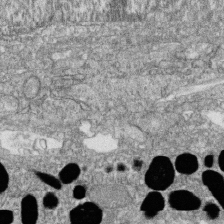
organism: Zebrafish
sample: Cilia; retinal pigment epithelium